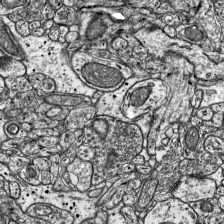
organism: Mouse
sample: Visual Cortex